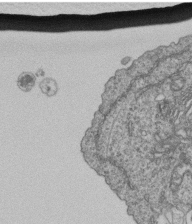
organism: Human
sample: Retinal organoid Rod and Cone cells